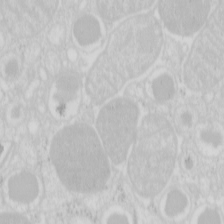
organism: Mouse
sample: Pancreas